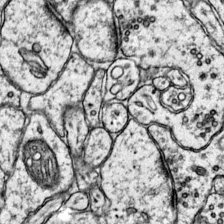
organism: Mouse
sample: Primary visual cortex